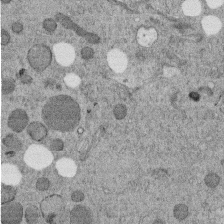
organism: C. elegans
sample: C. elegans embryo early stage